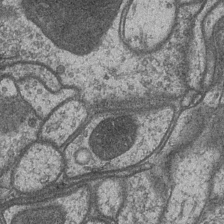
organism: Drosophila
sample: Optic medulla